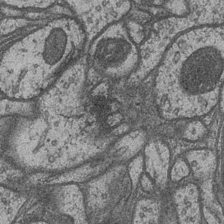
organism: Drosophila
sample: Optic medulla